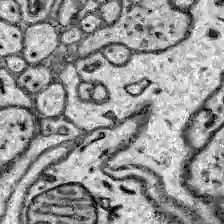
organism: Zebrafish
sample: Brain